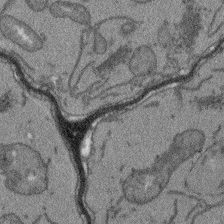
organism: Arabidopsis thaliana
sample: Root tip